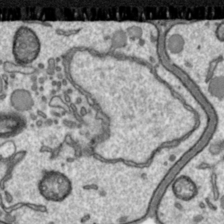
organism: Toxoplasma gondii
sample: Parasites in a vacuole inside a host cell